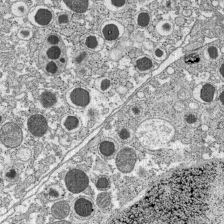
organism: C57BL Mouse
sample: Pancreatic islet